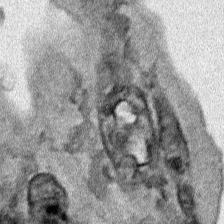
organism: Human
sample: Mitochondria in HCT116 cells